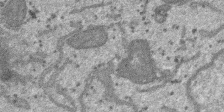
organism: Human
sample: Lung epithelial cells infected with SARS-CoV-2